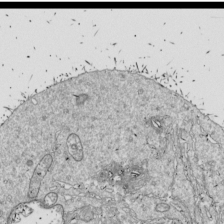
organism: Drosophila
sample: Cell division; meiosis; drosophila spermatocytes